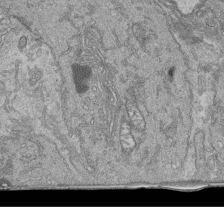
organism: Human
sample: Retinal organoid Rod and Cone cells